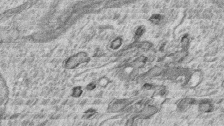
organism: Zebrafish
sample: synaptic ribbons in rod cells and cone cells